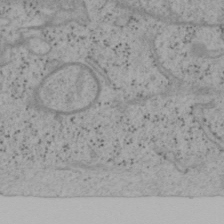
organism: Human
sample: HeLa cells